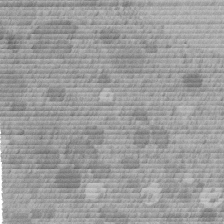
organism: C. elegans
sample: C. elegans embryo early stage